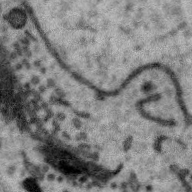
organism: Zebra finch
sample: Brain